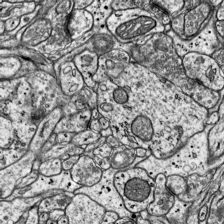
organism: Mouse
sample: Visual Cortex